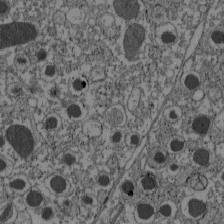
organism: C57BL Mouse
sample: Pancreatic islet